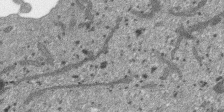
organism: Human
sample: Lung epithelial cells infected with SARS-CoV-2